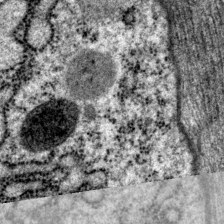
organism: P. pacificus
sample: Pharynx